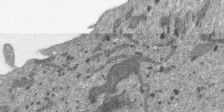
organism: Human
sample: Lung epithelial cells infected with SARS-CoV-2